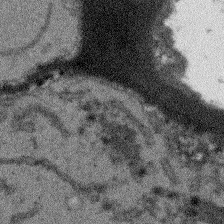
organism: Arabidopsis thaliana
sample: Root tip